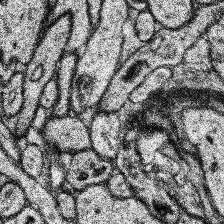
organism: Human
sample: Temporal Lobe